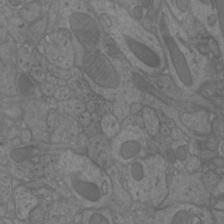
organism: Mouse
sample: Cortical neurons